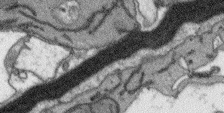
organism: Arabidopsis thaliana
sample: Root tip